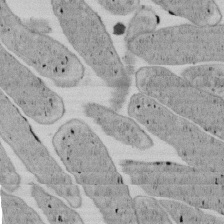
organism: E. coli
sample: Bacterial nucleoid